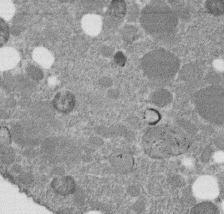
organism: C. elegans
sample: C. elegans embryo early stage